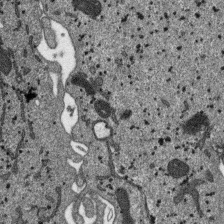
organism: Human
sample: Lung epithelial cells infected with SARS-CoV-2